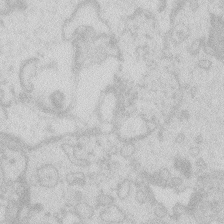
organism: Zebrafish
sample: Macrophage